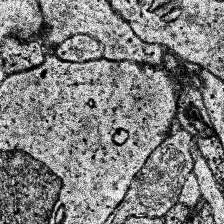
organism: Human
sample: Temporal Lobe